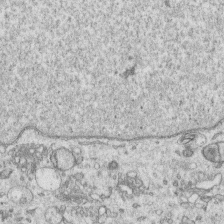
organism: Human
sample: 1205lu cells